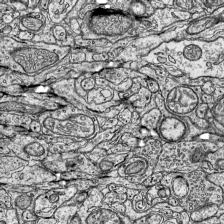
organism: Mouse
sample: Visual Cortex